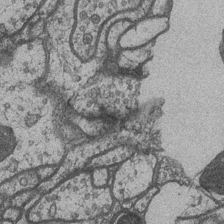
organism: Drosophila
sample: Optic medulla